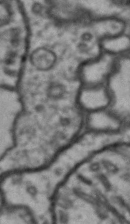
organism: Drosophila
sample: Brain